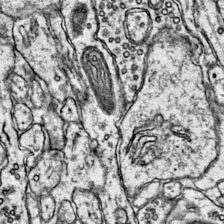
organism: Mouse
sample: Primary visual cortex